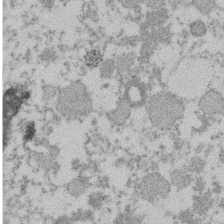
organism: Mouse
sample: Dividing mouse embryo 1 cell stage